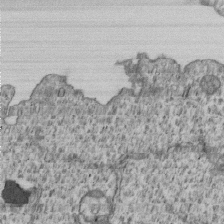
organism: Human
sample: MDA-MB-231 cells